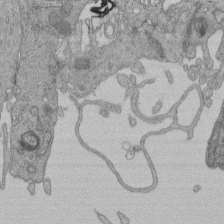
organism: Human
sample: Retinal organoid Rod and Cone cells